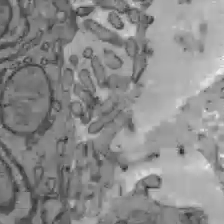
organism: C57BL Mouse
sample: Liver